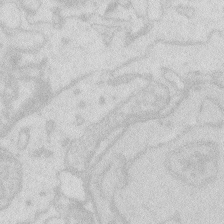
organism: Zebrafish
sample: Macrophage